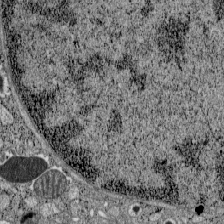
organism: C57BL Mouse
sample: Pancreatic islet